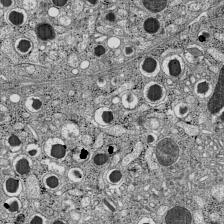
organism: C57BL Mouse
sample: Pancreatic islet